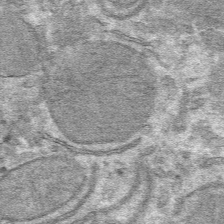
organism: Mouse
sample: Mouse hepatocytes